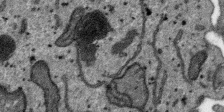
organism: Human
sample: Lung epithelial cells, uninfected (mock) control